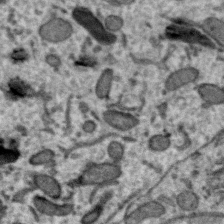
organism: Zebra finch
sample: Brain